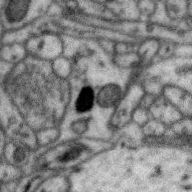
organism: Zebra finch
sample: Brain